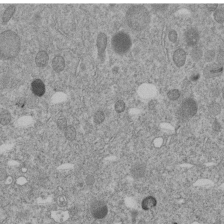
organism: C. elegans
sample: C. elegans embryo early stage